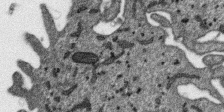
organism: Human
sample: Lung epithelial cells infected with SARS-CoV-2